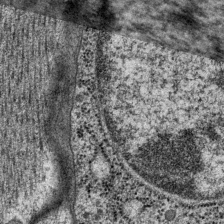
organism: P. pacificus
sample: Pharynx